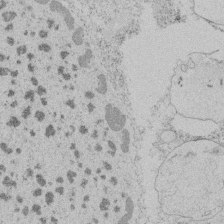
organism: Tetrahymena